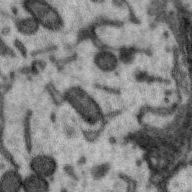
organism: Zebra finch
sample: Brain